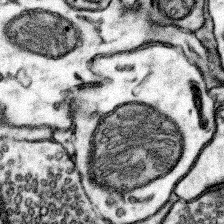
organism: Mouse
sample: Somatosensory cortex neuropil